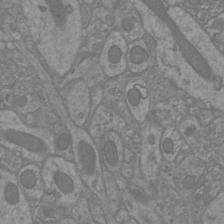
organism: Mouse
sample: Cortical neurons